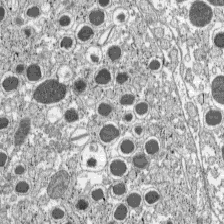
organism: C57BL Mouse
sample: Pancreatic islet